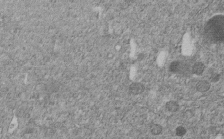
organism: C. elegans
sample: C. elegans embryo early stage